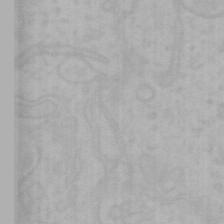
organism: Mouse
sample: Choroid plexus